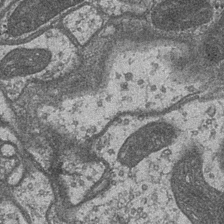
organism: Drosophila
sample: Optic medulla